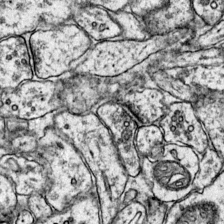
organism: Mouse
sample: Primary visual cortex